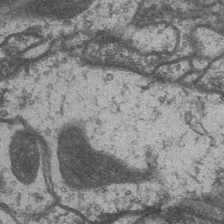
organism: Drosophila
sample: Optic medulla